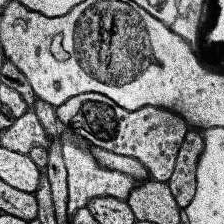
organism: Human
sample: Temporal Lobe